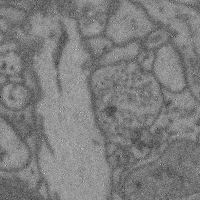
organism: Mouse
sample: Cerebral cortex